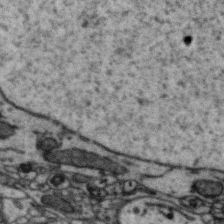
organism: Zebra finch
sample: Brain